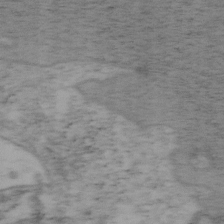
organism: Mouse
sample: OT-I killer T cells with ID8 ovarian cancer cells